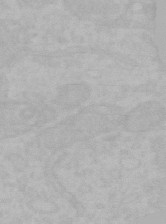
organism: Mouse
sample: Choroid plexus